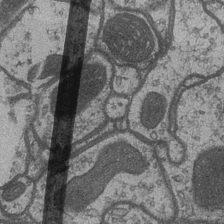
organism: Drosophila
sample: Optic medulla